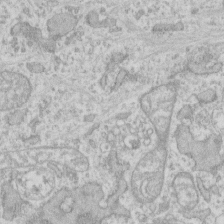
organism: Human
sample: Fibroblast cells